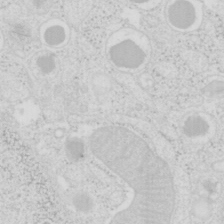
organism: Mouse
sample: Pancreas